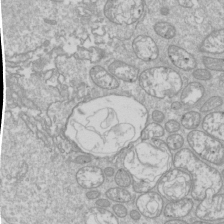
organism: Drosophila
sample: Cell division; meiosis; drosophila spermatocytes